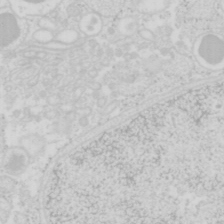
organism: Mouse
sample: Pancreas